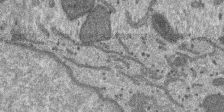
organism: Human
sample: Lung epithelial cells infected with SARS-CoV-2